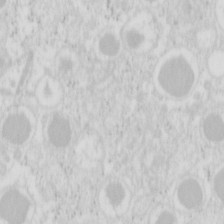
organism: Mouse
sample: Pancreas